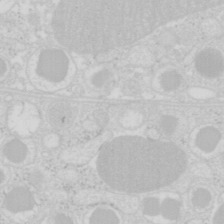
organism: Mouse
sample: Pancreas